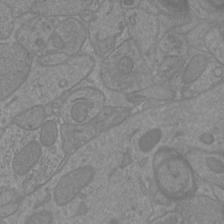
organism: Mouse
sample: Cortical neurons